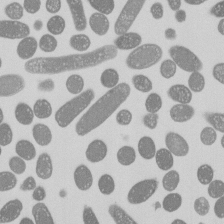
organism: E. coli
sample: Bacterial nucleoid